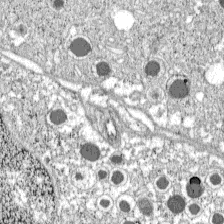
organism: C57BL Mouse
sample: Pancreatic islet